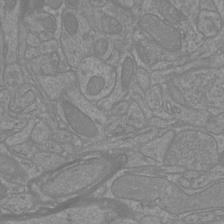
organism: Mouse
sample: Cortical neurons